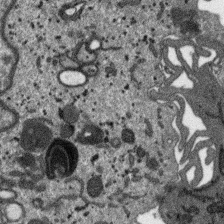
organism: Human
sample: Lung epithelial cells infected with SARS-CoV-2